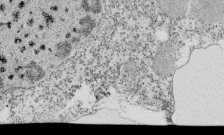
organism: Tetrahymena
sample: Cilia in tetrahymena